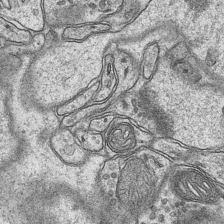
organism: Mouse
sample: CA1 Hippocampus